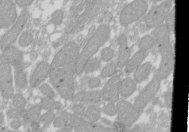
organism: Xenopus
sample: Cilia; centrioles in frog embryo cells